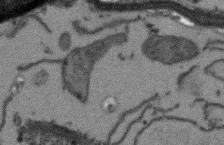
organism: Arabidopsis thaliana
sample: Root tip